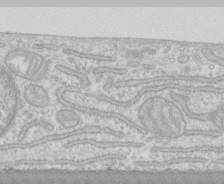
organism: Human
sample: CRL-1474